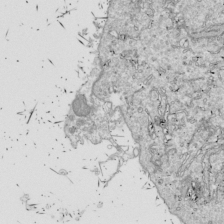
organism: Drosophila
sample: Cell division; meiosis; drosophila spermatocytes